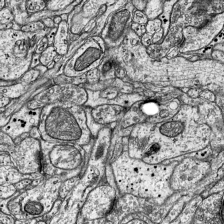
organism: Mouse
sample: Visual Cortex